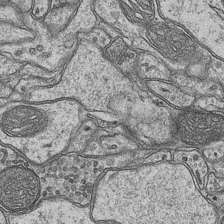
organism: Mouse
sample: CA1 Hippocampus